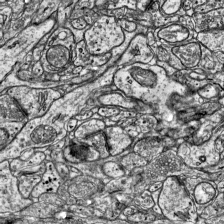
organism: Mouse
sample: Visual Cortex